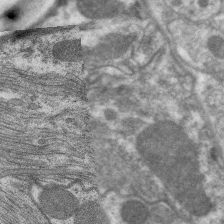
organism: C. elegans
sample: Pharynx